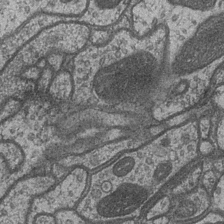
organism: Drosophila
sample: Optic medulla